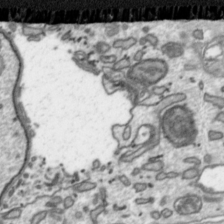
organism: Toxoplasma gondii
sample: Parasites in a vacuole inside a host cell